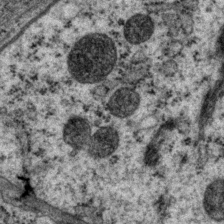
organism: P. pacificus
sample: Pharynx